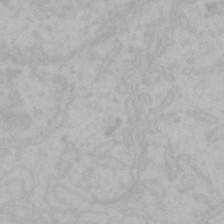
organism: Mouse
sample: Choroid plexus